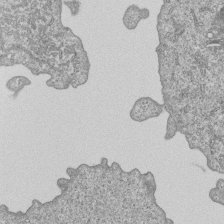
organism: Human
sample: MDA-MB-231 cells